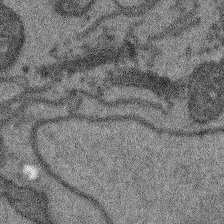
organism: Arabidopsis thaliana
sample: Root tip